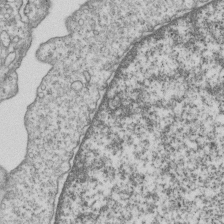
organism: Human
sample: MDA-MB-231 cells